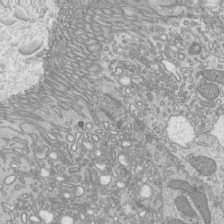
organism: Mouse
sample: Cilia; mouse epididymis